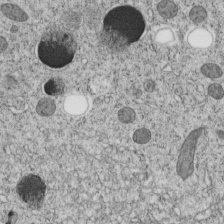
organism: C. elegans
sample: C. elegans embryo early stage